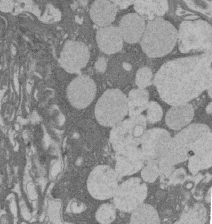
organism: Rat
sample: Salivary granule